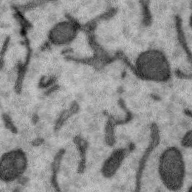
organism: Zebra finch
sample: Brain